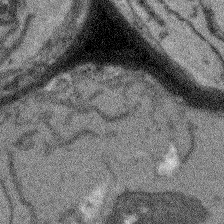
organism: Arabidopsis thaliana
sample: Root tip